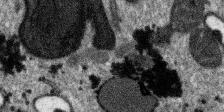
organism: Human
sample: Lung epithelial cells infected with SARS-CoV-2